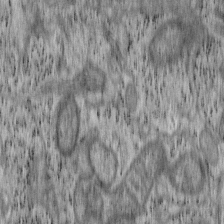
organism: Human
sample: HeLa cells